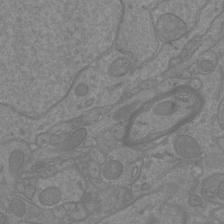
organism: Mouse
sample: Cortical neurons